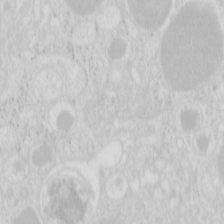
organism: Mouse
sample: Pancreas